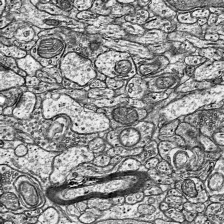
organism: Mouse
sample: Visual Cortex